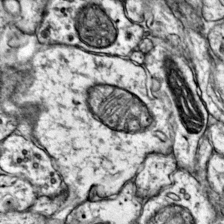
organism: Mouse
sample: Primary visual cortex